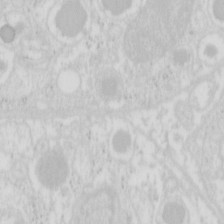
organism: Mouse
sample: Pancreas